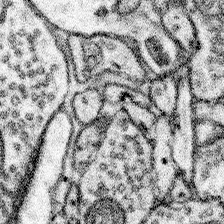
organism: Mouse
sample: Somatosensory cortex neuropil